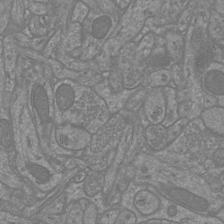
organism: Mouse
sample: Cortical neurons